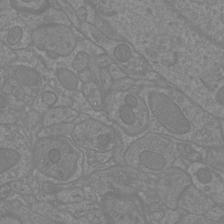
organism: Mouse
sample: Cortical neurons